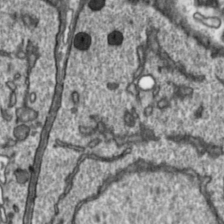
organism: Toxoplasma gondii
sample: Parasites in a vacuole inside a host cell